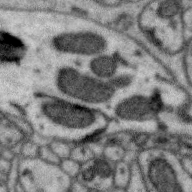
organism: Zebra finch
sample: Brain